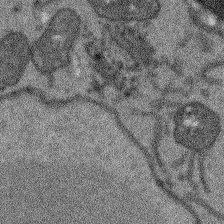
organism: Arabidopsis thaliana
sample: Root tip